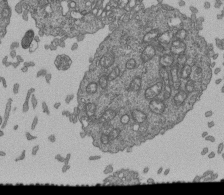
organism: Human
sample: Retinal organoid Rod and Cone cells